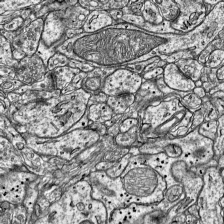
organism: Mouse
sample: Visual Cortex